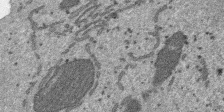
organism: Human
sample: Lung epithelial cells infected with SARS-CoV-2